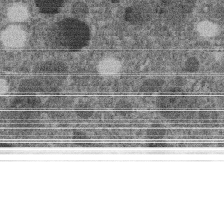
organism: C. elegans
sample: C. elegans embryo early stage